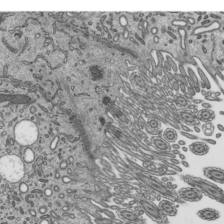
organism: Mouse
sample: Mouse epididymis efferent ductule cilia